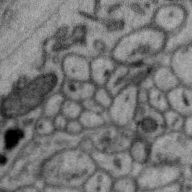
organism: Zebra finch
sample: Brain